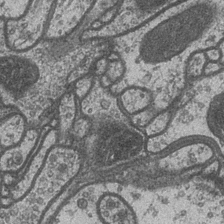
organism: Drosophila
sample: Optic medulla